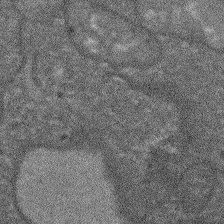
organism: Arabidopsis thaliana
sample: Root tip